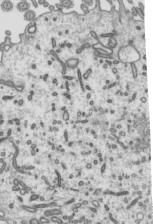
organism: Mouse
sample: Mouse epididymis efferent ductule cilia